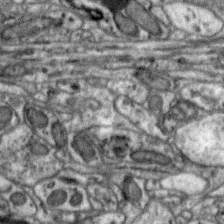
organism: Zebra finch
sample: Brain